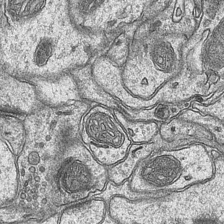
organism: Mouse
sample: CA1 Hippocampus